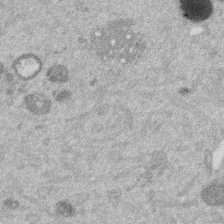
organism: Mouse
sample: Dividing mouse embryo 1 cell stage